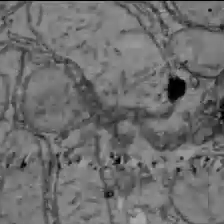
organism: C57BL Mouse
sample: Liver